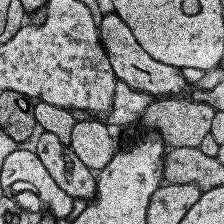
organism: Human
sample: Temporal Lobe